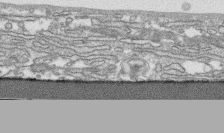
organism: Human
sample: CRL-1474